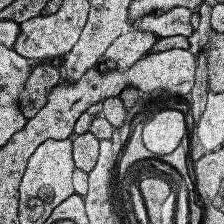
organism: Human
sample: Temporal Lobe